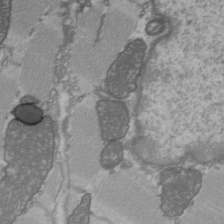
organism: C57BL Mouse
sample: Heart